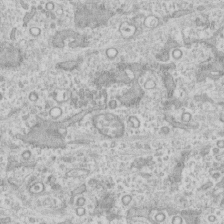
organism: Human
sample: CRL-1474